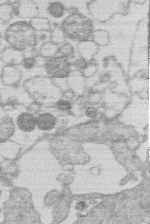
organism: Human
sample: Macrophage cells